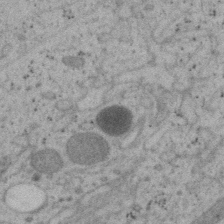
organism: Human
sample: HeLa cells